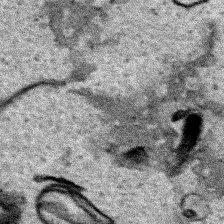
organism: Human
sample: Mitochondria in HCT116 cells